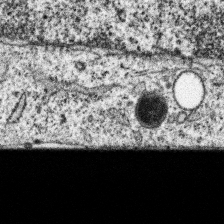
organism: Human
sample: HeLa cells